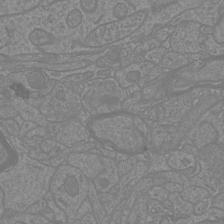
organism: Mouse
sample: Cortical neurons